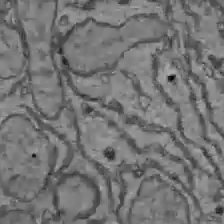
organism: C57BL Mouse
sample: Liver